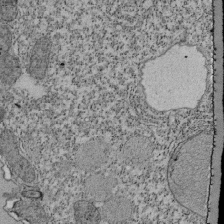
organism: Tetrahymena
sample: Cilia in tetrahymena